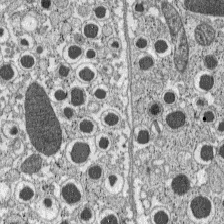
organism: C57BL Mouse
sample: Pancreatic islet